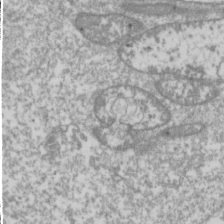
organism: Drosophila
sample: Cell division; meiosis; drosophila spermatocytes